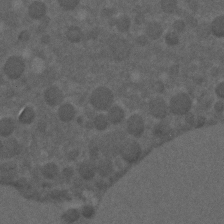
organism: C. elegans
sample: C. elegans embryo